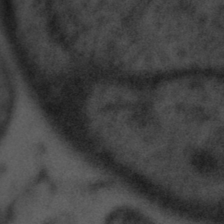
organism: Tuwongella immobilis